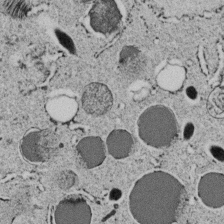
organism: C. elegans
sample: C. elegans embryo early stage